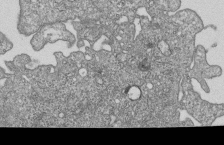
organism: Human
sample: MDA-MB-231 cells